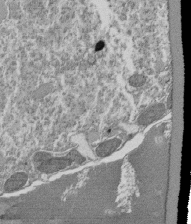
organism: Tetrahymena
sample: Cilia in tetrahymena